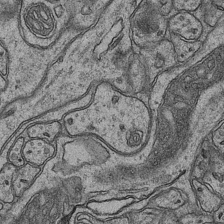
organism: Mouse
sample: CA1 Hippocampus